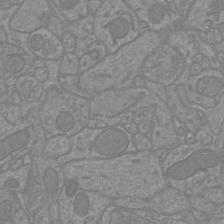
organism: Mouse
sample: Cortical neurons